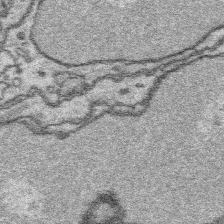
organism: Platynereis dumerilii